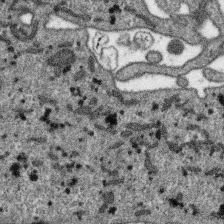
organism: Human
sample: Lung epithelial cells infected with SARS-CoV-2